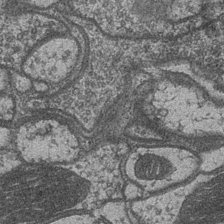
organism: Drosophila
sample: Optic medulla